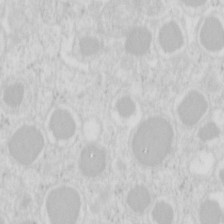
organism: Mouse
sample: Pancreas